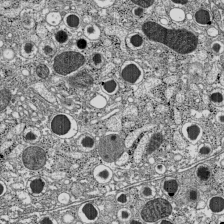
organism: C57BL Mouse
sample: Pancreatic islet